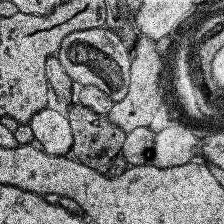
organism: Human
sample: Temporal Lobe